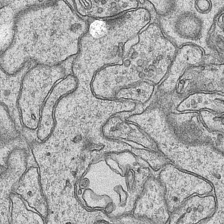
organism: Mouse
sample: CA1 Hippocampus